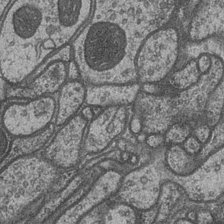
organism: Drosophila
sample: Optic medulla